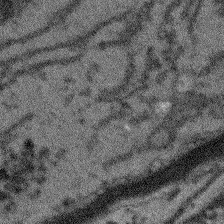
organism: Arabidopsis thaliana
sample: Root tip